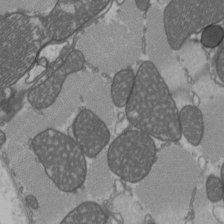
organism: C57BL Mouse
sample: Heart